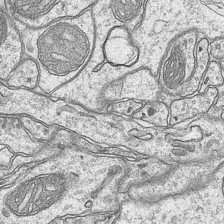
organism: Mouse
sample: CA1 Hippocampus